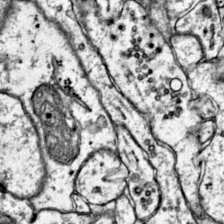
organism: Mouse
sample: Primary visual cortex